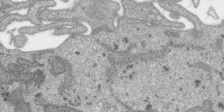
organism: Human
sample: Lung epithelial cells infected with SARS-CoV-2